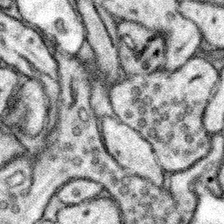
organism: Mouse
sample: Somatosensory cortex neuropil